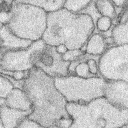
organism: Rabbit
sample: Retina